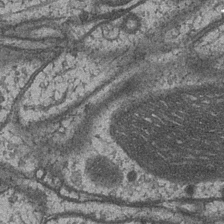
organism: Drosophila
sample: Optic medulla